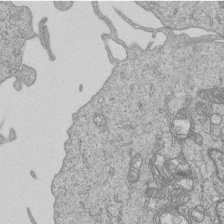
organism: Human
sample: MDA-MB-231 cells